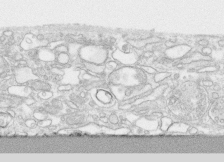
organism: Human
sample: CRL-1474